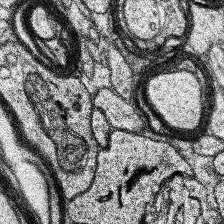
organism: Human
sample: Temporal Lobe